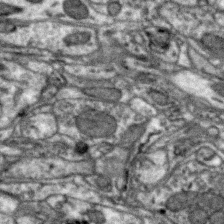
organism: Zebra finch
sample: Brain